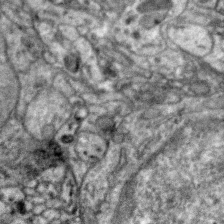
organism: Zebra finch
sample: Brain